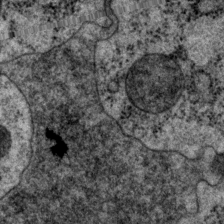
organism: P. pacificus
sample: Pharynx